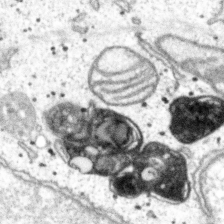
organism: Human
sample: HeLa cells